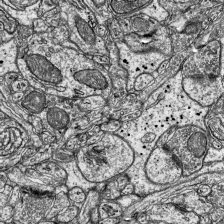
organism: Mouse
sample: Visual Cortex